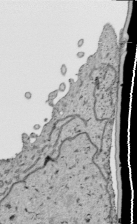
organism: Human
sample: Mitochondria in HCT116 cells